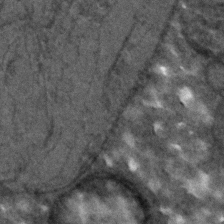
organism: C. elegans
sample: C. elegans embryo